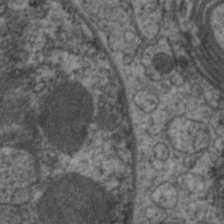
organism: C. elegans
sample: Pharynx